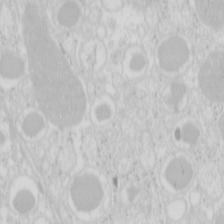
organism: Mouse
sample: Pancreas